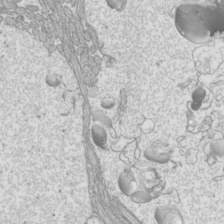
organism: Mouse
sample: Cilia; mouse epididymis